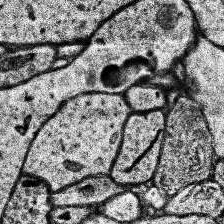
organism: Human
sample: Temporal Lobe